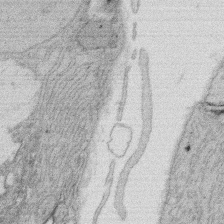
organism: Rat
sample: Salivary granule